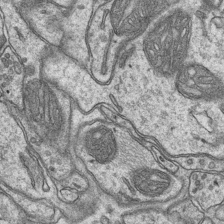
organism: Mouse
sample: CA1 Hippocampus